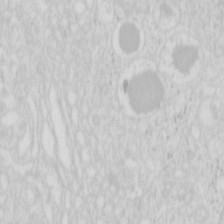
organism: Mouse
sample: Pancreas